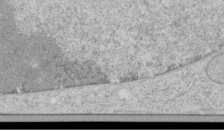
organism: Human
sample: Mitochondria in HCT116 cells